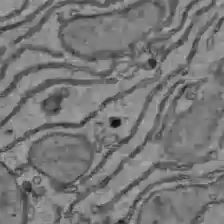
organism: C57BL Mouse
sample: Liver